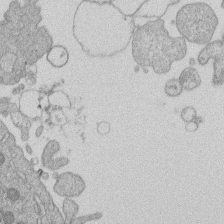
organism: Human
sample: Macrophage cells